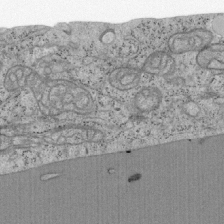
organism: Human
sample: HeLa cells